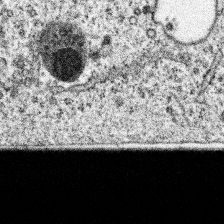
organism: Human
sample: HeLa cells